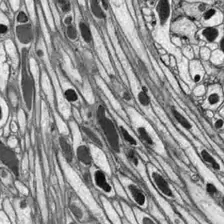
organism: Drosophila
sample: Optic lobe